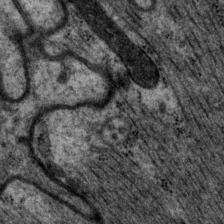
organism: P. pacificus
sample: Pharynx